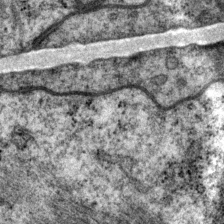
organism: P. pacificus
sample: Pharynx